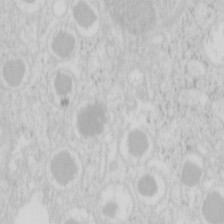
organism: Mouse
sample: Pancreas